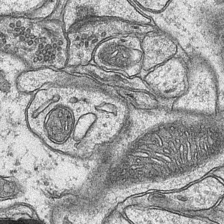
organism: Mouse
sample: CA1 Hippocampus